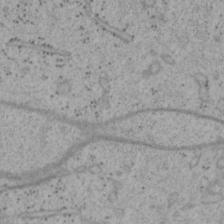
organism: Human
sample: HeLa cells